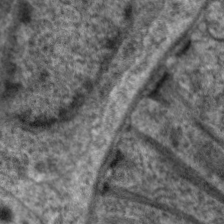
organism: C. elegans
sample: Pharynx